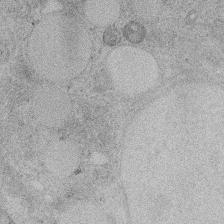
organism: Rat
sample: Salivary granule